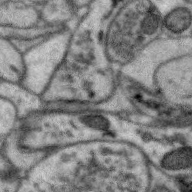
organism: Zebra finch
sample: Brain